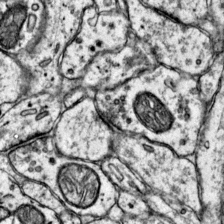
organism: Mouse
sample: Primary visual cortex